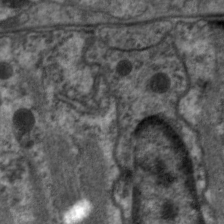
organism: C. elegans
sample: Pharynx